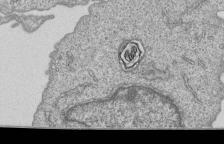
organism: Human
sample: MDA-MB-231 cells